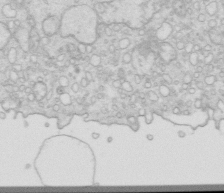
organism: Mouse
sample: Multiciliated cells